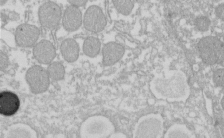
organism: Xenopus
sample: Cilia; centrioles in frog embryo cells